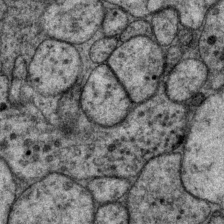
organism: P. pacificus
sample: Pharynx